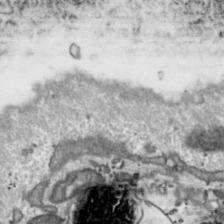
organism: Toxoplasma gondii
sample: Parasites in a vacuole inside a host cell